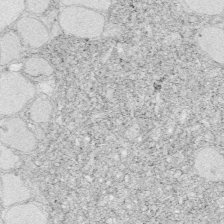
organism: Zebrafish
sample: Whole-Brain